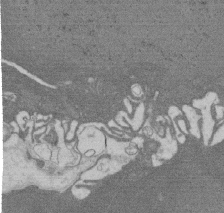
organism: Rat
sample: Salivary granule